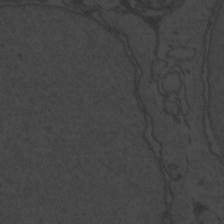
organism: Zebrafish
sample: Macrophage infected with Toxoplasma gondii